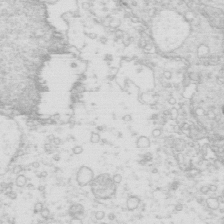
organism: Mouse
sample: Multiciliated cells